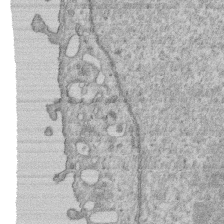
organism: Human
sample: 1205lu cells